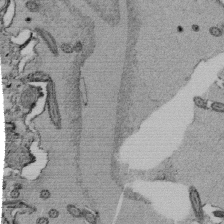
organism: Tetrahymena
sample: Cilia in tetrahymena